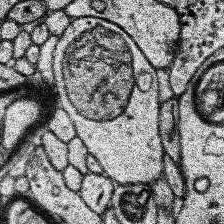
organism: Human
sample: Temporal Lobe